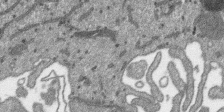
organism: Human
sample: Lung epithelial cells infected with SARS-CoV-2